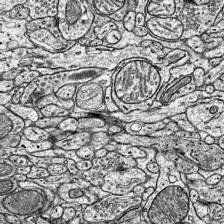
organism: Mouse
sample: Visual Cortex